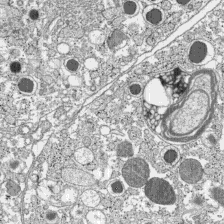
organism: C57BL Mouse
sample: Pancreatic islet